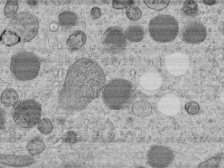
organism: C. elegans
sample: C. elegans embryo early stage